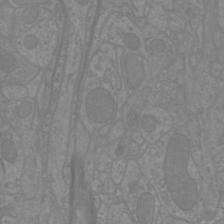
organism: Mouse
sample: Cortical neurons